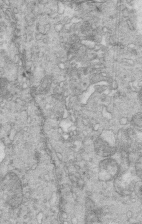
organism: Mouse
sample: Multiciliated cells